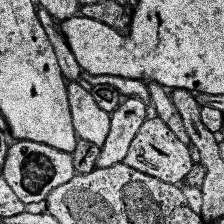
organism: Human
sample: Temporal Lobe